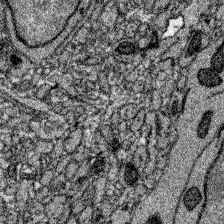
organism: Zebrafish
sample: Larval olfactory bulb